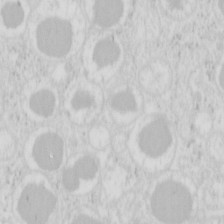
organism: Mouse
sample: Pancreas